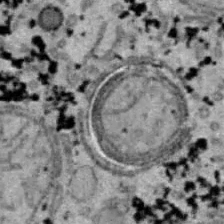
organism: Mouse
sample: Liver from an obese (ob/ob) mouse